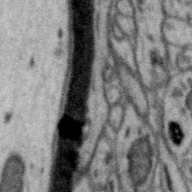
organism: Zebra finch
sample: Brain